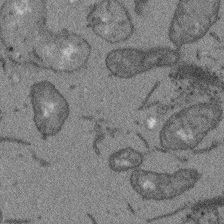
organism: Arabidopsis thaliana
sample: Root tip